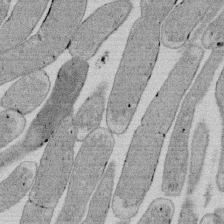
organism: E. coli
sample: Bacterial nucleoid